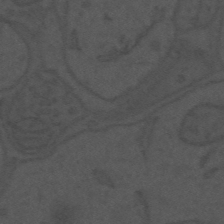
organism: Mouse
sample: Suprachiasmatic nucleus